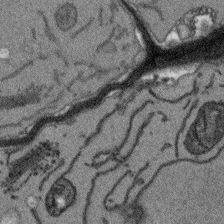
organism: Arabidopsis thaliana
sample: Root tip